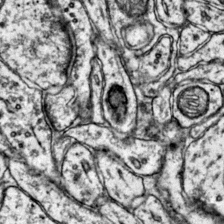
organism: Mouse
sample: Primary visual cortex